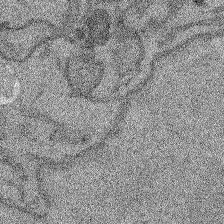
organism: Human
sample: HeLa cells